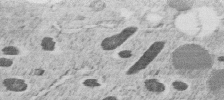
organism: C. elegans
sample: C. elegans embryo early stage